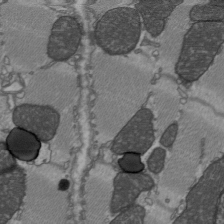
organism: C57BL Mouse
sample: Heart